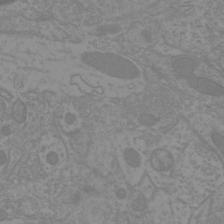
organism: Mouse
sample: Cortical neurons